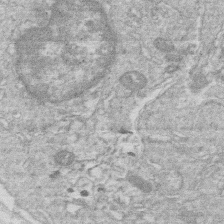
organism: Human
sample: Macrophage cells